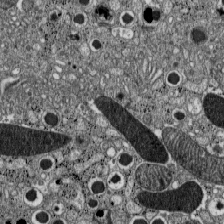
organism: C57BL Mouse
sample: Pancreatic islet